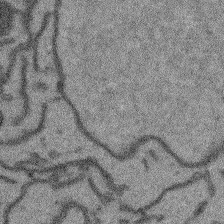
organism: Arabidopsis thaliana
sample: Root tip